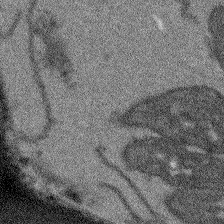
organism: Arabidopsis thaliana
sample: Root tip